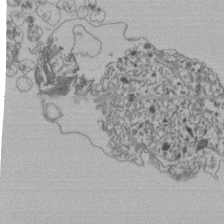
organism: Human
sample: Retinal organoid Rod and Cone cells